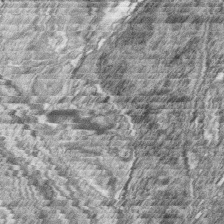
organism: Zebrafish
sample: synaptic ribbons in rod cells and cone cells